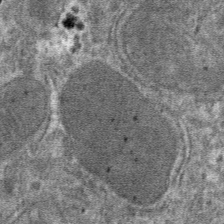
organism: Mouse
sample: Mouse hepatocytes